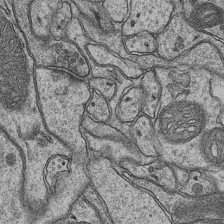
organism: Mouse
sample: CA1 Hippocampus